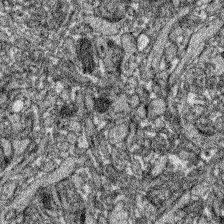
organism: Zebrafish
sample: Larval olfactory bulb